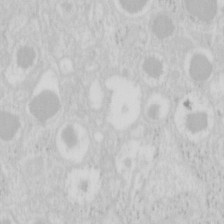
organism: Mouse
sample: Pancreas